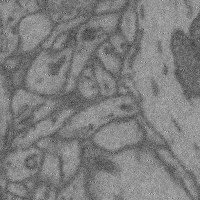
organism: Mouse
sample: Cerebral cortex